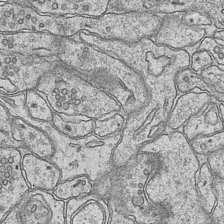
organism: Mouse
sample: CA1 Hippocampus